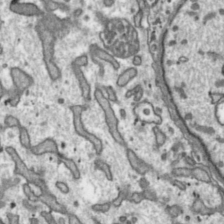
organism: Toxoplasma gondii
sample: Parasites in a vacuole inside a host cell